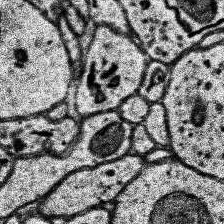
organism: Human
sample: Temporal Lobe